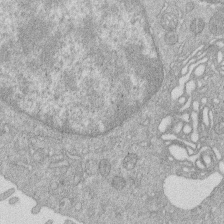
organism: Human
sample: Macrophage cells